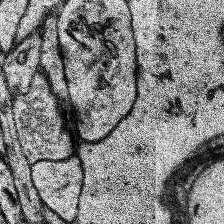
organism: Human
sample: Temporal Lobe